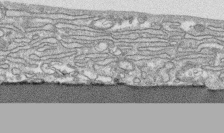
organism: Human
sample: CRL-1474